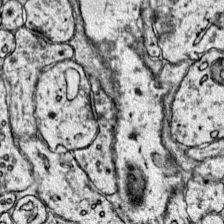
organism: Mouse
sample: Primary visual cortex